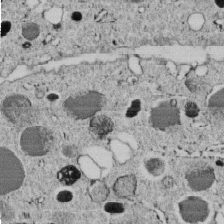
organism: C. elegans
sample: C. elegans embryo early stage